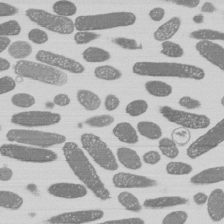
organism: E. coli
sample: Bacterial nucleoid